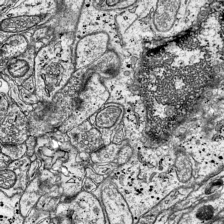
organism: Mouse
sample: Visual Cortex